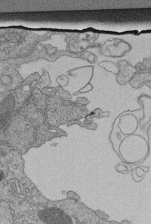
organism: Human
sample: Retinal organoid Rod and Cone cells